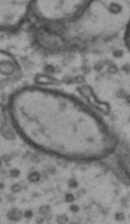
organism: Drosophila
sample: Brain